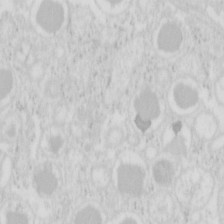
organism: Mouse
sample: Pancreas